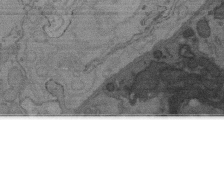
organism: C. elegans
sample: AFD neurons C. elegans